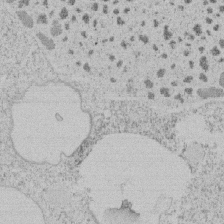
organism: Tetrahymena